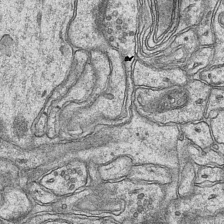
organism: Mouse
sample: CA1 Hippocampus